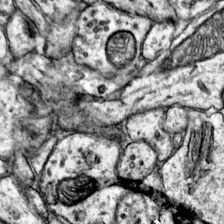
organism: Mouse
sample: Primary visual cortex